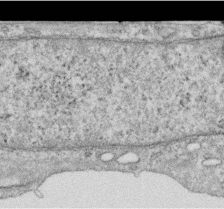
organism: Human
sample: Centriole in RPE cells